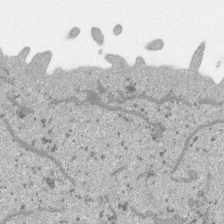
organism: Human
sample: Lung epithelial cells infected with SARS-CoV-2